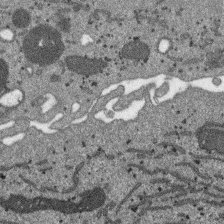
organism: Human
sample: Lung epithelial cells infected with SARS-CoV-2